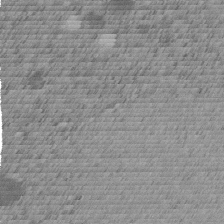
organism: C. elegans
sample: C. elegans embryo early stage